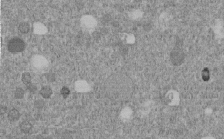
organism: C. elegans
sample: C. elegans embryo early stage